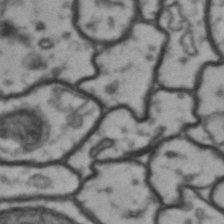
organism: Drosophila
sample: Brain